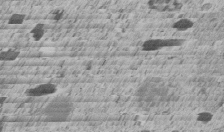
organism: C. elegans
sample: C. elegans embryo early stage